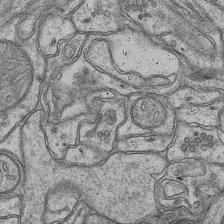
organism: Mouse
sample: CA1 Hippocampus